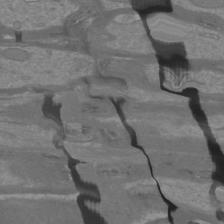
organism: Mouse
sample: Cortical neurons